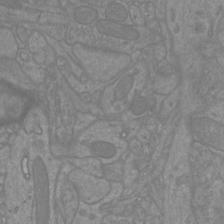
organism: Mouse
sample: Cortical neurons